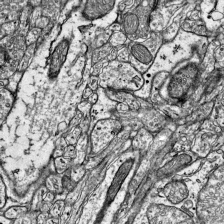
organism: Mouse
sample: Visual Cortex